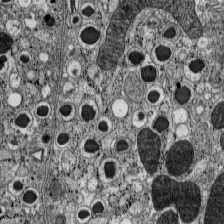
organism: C57BL Mouse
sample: Pancreatic islet